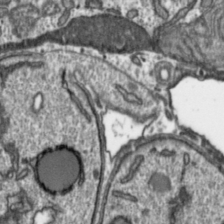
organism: Toxoplasma gondii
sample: Parasites in a vacuole inside a host cell